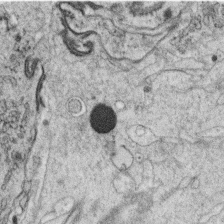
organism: C. elegans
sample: C. elegans oocyte; sperm cells